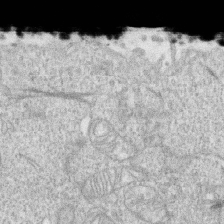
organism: Human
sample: HeLa cell HIV synapse